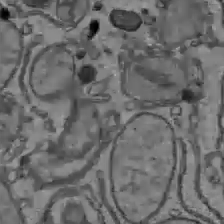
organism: C57BL Mouse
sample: Liver